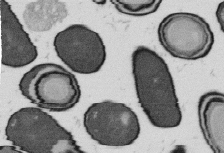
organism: B. subtilis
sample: Bacterial spore